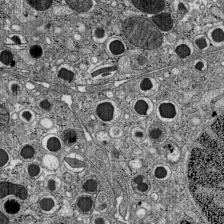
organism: C57BL Mouse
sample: Pancreatic islet